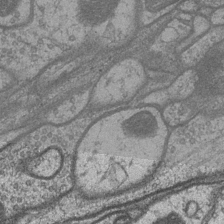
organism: Drosophila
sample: Optic medulla